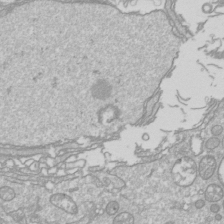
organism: Drosophila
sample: Cell division; meiosis; drosophila spermatocytes